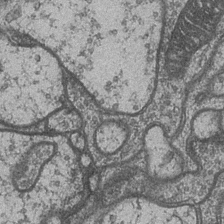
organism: Drosophila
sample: Optic medulla